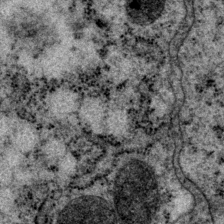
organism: P. pacificus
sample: Pharynx